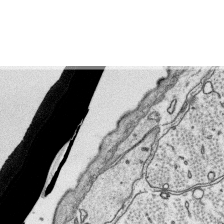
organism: Platynereis dumerilii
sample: Parapodia